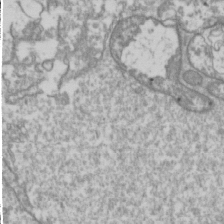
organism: Drosophila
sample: Cell division; meiosis; drosophila spermatocytes